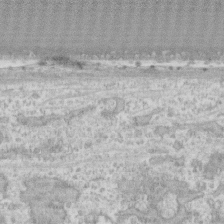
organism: Human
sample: CRL-1474